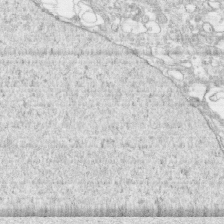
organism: Human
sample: CRL-1474